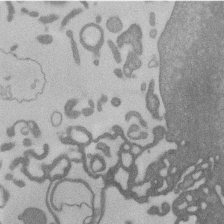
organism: Mouse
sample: Dividing mouse embryo 1 cell stage